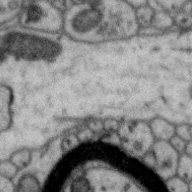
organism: Zebra finch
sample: Brain